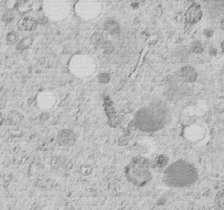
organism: C. elegans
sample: C. elegans embryo early stage